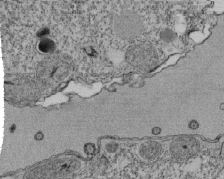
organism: Tetrahymena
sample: Cilia in tetrahymena